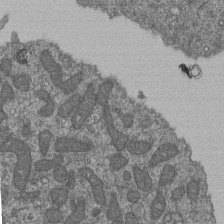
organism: Human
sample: Retinal organoid Rod and Cone cells